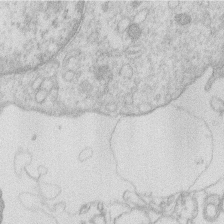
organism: Human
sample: Macrophage cells